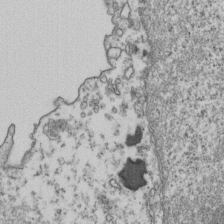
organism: Human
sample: Activated Jurkat CD4+ T cells